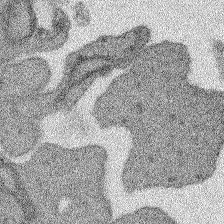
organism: Human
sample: HeLa cells